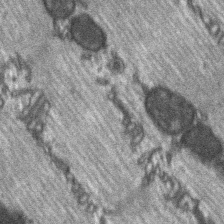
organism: C57BL Mouse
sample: Soleus